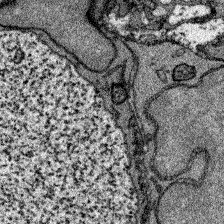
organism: Zebrafish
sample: Larval olfactory bulb